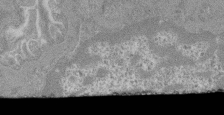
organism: Mouse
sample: Glomerulus